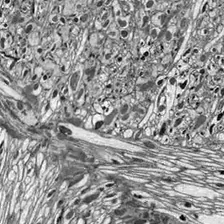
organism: Drosophila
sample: Optic lobe